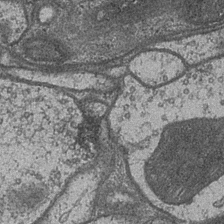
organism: Drosophila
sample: Optic medulla